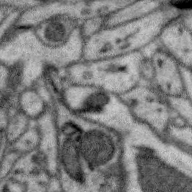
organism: Zebra finch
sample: Brain